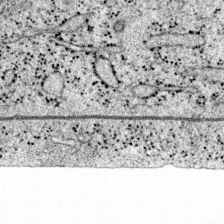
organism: Human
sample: HeLa cells